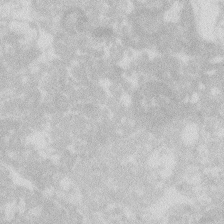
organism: Zebrafish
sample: Macrophage